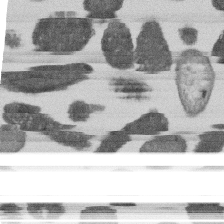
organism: E. coli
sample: Bacterial nucleoid